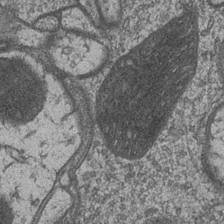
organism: Drosophila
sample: Optic medulla